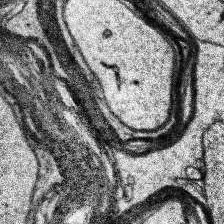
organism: Human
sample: Temporal Lobe